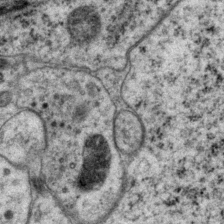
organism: P. pacificus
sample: Pharynx